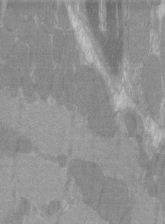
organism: C57BL Mouse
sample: Tibialis anterior muscle cell